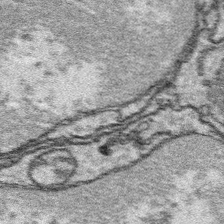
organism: Platynereis dumerilii